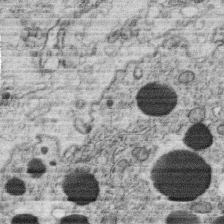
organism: C. elegans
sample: C. elegans oocyte; sperm cells